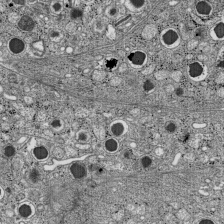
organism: C57BL Mouse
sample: Pancreatic islet